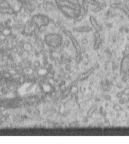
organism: Human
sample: Centriole in RPE cells